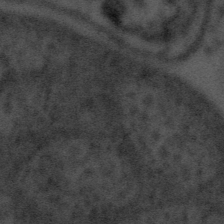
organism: Tuwongella immobilis